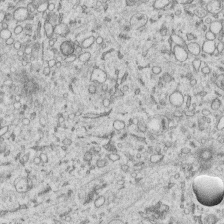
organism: Human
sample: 1205lu cells